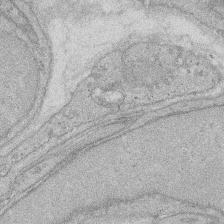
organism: Rat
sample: Salivary granule